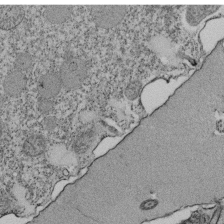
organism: Tetrahymena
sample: Cilia in tetrahymena